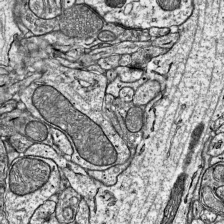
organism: Mouse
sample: Visual Cortex